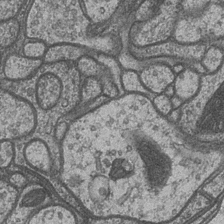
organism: Drosophila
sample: Optic medulla